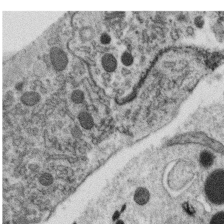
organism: C. elegans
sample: C. elegans oocyte; sperm cells